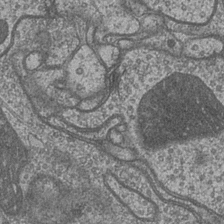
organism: Drosophila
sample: Optic medulla